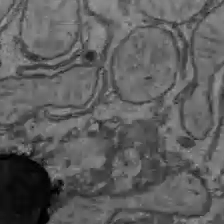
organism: C57BL Mouse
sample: Liver